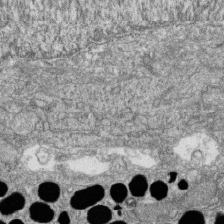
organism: Zebrafish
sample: Cilia; retinal pigment epithelium